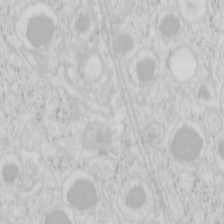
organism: Mouse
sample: Pancreas